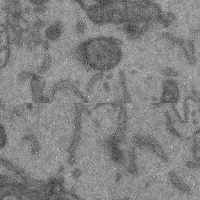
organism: Mouse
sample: Cerebral cortex